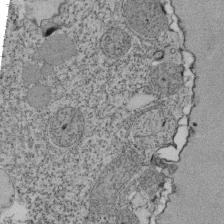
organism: Tetrahymena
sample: Cilia in tetrahymena